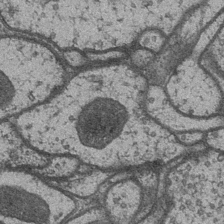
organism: Drosophila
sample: Optic medulla